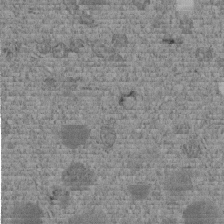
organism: C. elegans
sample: C. elegans embryo early stage